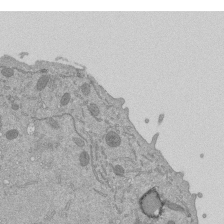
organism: Mouse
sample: ED-1 cell nuclei; centrioles